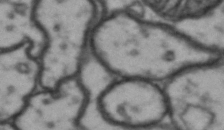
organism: Drosophila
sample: Brain